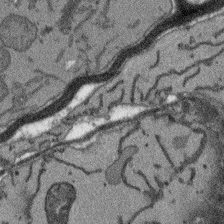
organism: Arabidopsis thaliana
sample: Root tip